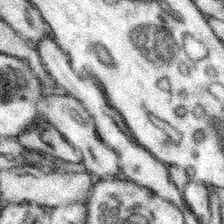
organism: Mouse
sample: Somatosensory cortex neuropil